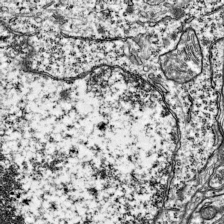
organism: Mouse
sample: Visual Cortex